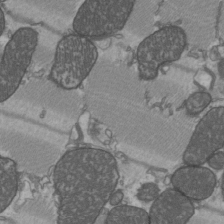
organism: C57BL Mouse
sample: Heart